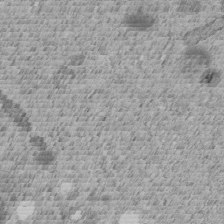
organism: C. elegans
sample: C. elegans embryo early stage